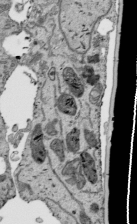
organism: Human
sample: Mitochondria in HCT116 cells